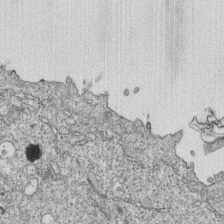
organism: Human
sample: HeLa cell HIV synapse